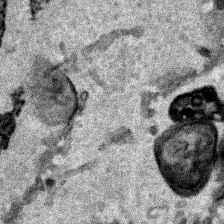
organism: Human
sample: Mitochondria in HCT116 cells